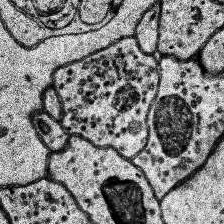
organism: Human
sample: Temporal Lobe